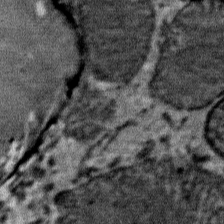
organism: Mouse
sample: Mouse Salivary gland